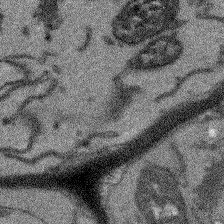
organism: Arabidopsis thaliana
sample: Root tip